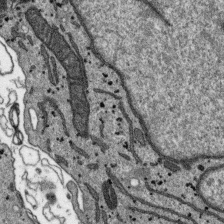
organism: Human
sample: Lung epithelial cells, uninfected (mock) control